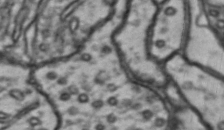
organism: Drosophila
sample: Brain